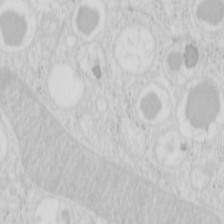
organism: Mouse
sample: Pancreas